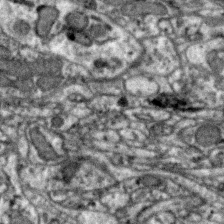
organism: Zebra finch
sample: Brain